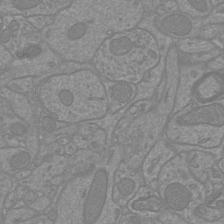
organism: Mouse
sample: Cortical neurons